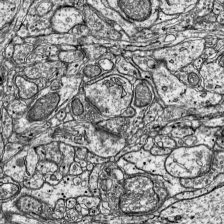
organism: Mouse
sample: Visual Cortex